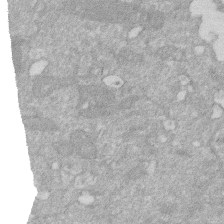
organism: Human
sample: HIV infected U937 cells